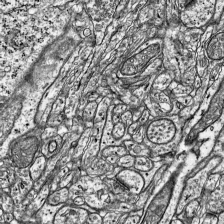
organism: Mouse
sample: Visual Cortex